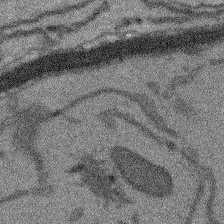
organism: Arabidopsis thaliana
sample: Root tip